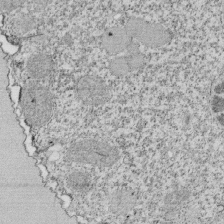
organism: Tetrahymena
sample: Cilia in tetrahymena